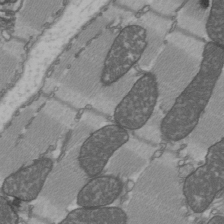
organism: C57BL Mouse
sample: Heart